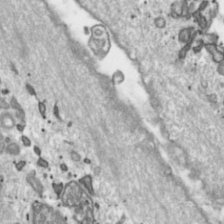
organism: Toxoplasma gondii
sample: Parasites in a vacuole inside a host cell